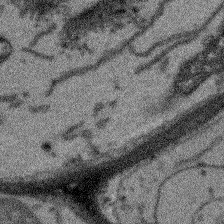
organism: Arabidopsis thaliana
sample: Root tip